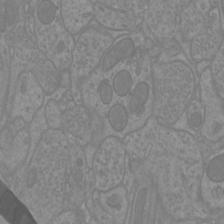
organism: Mouse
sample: Cortical neurons